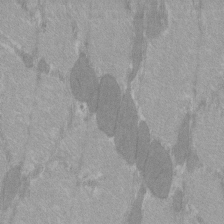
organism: C57BL Mouse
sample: Tibialis anterior muscle cell